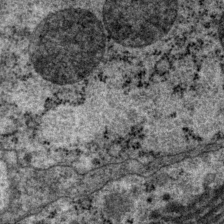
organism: P. pacificus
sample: Pharynx